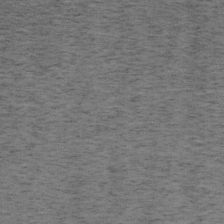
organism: Mouse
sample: OT-I killer T cells with ID8 ovarian cancer cells